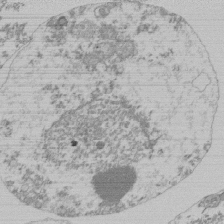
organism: Mouse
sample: Activated Pmel transgenic CD8+ T Cells